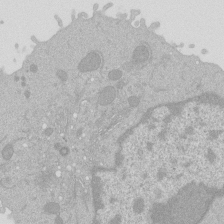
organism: Mouse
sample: Activated Pmel transgenic CD8+ T Cells